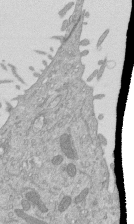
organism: Mouse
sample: ED-1 cell nuclei; centrioles